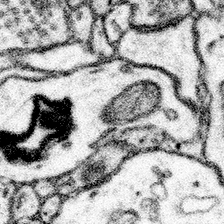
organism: Mouse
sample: Somatosensory cortex neuropil